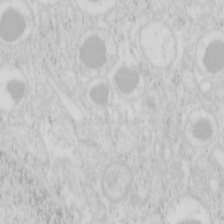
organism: Mouse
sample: Pancreas